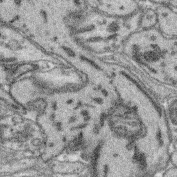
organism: Mouse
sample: Retina